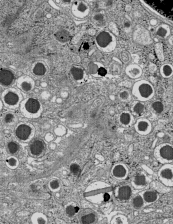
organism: C57BL Mouse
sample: Pancreatic islet